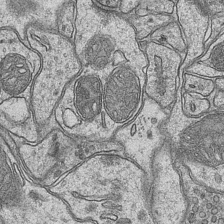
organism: Mouse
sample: CA1 Hippocampus